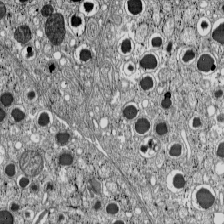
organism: C57BL Mouse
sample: Pancreatic islet